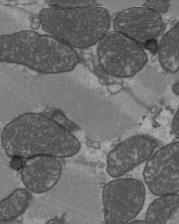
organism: C57BL Mouse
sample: Heart